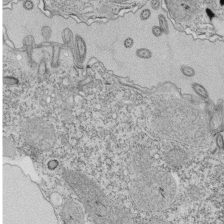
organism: Tetrahymena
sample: Cilia in tetrahymena